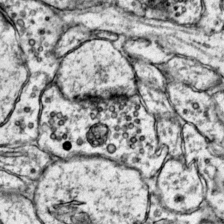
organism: Mouse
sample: Primary visual cortex